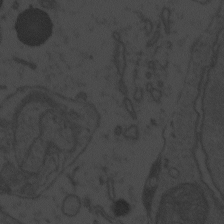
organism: Zebrafish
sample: Macrophage infected with Toxoplasma gondii